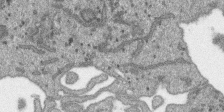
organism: Human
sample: Lung epithelial cells infected with SARS-CoV-2